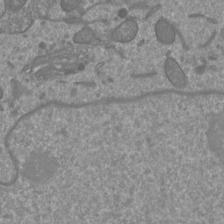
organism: Mouse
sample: Cortical neurons